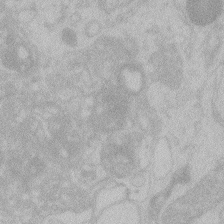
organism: Zebrafish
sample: Macrophage infected with Toxoplasma gondii